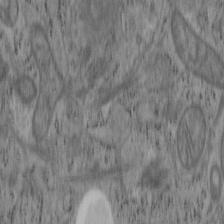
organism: Human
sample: HeLa cells